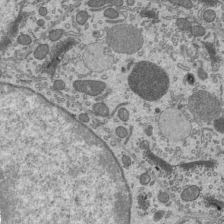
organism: Mouse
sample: Mouse epididymis efferent ductule cilia